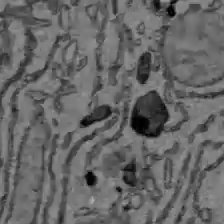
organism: C57BL Mouse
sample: Liver